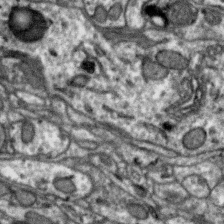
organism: Zebra finch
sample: Brain